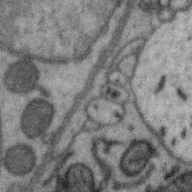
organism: Zebra finch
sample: Brain